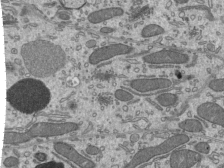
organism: Mouse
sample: Mouse epididymis efferent ductule cilia